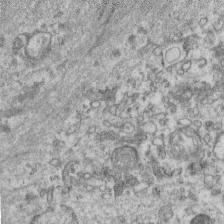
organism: Mouse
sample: Centriole in ependymal cells